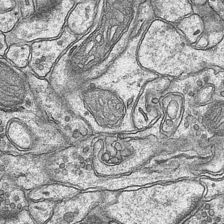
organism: Mouse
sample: CA1 Hippocampus